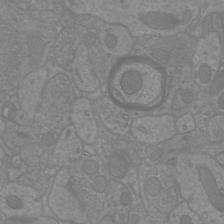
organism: Mouse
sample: Cortical neurons